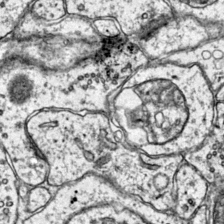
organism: Mouse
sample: Primary visual cortex